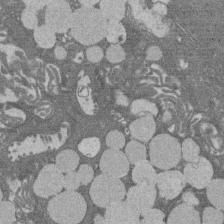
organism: Rat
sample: Salivary granule